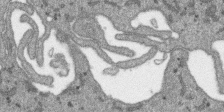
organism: Human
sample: Lung epithelial cells infected with SARS-CoV-2